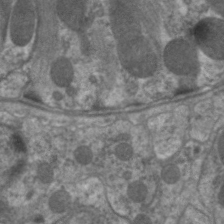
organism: C. elegans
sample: Pharynx